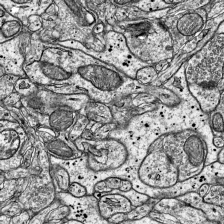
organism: Mouse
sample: Visual Cortex